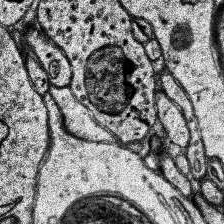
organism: Human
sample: Temporal Lobe